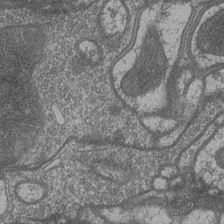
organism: Drosophila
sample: Optic medulla